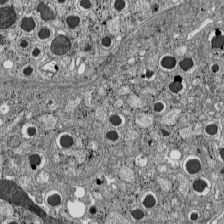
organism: C57BL Mouse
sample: Pancreatic islet